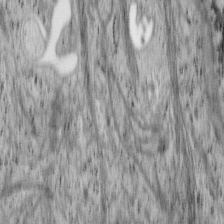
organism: Human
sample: HeLa cells